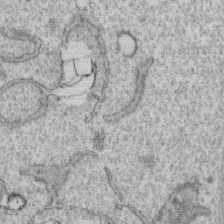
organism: Human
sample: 1205lu cells